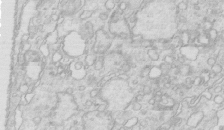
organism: Mouse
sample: Multiciliated cells